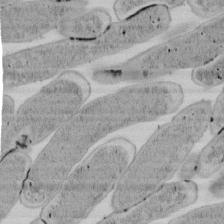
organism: E. coli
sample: Bacterial nucleoid